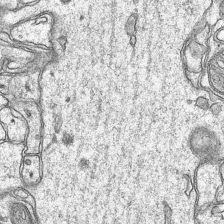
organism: Mouse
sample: CA1 Hippocampus